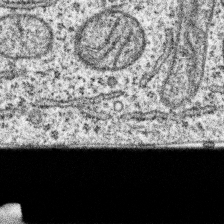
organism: Human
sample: HeLa cells